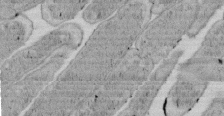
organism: E. coli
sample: Bacterial nucleoid